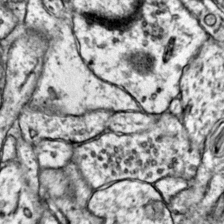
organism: Mouse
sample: Primary visual cortex